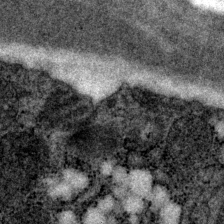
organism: P. pacificus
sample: Pharynx